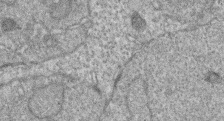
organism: Zebrafish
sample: Cilia; retinal pigment epithelium